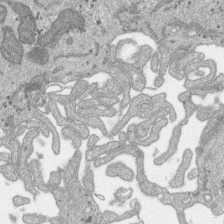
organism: Human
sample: Lung epithelial cells infected with SARS-CoV-2